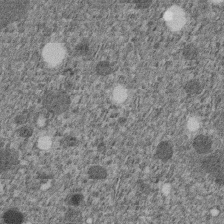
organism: C. elegans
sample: C. elegans embryo early stage